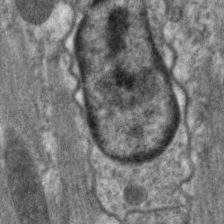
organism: C. elegans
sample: Pharynx